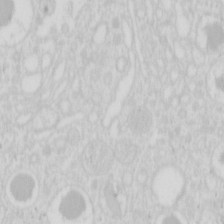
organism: Mouse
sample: Pancreas